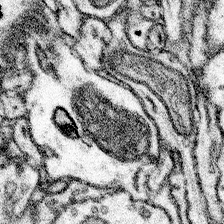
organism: Mouse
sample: Somatosensory cortex neuropil